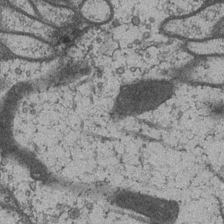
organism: Drosophila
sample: Optic medulla